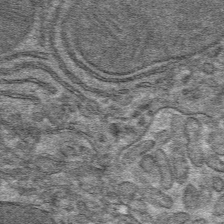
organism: Mouse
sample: Mouse hepatocytes